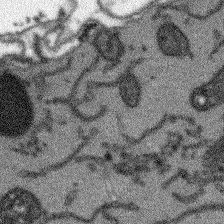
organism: Arabidopsis thaliana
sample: Root tip